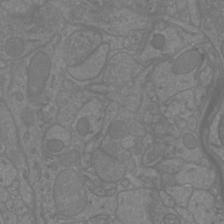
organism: Mouse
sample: Cortical neurons